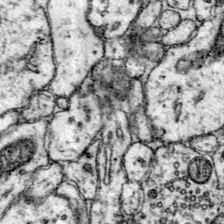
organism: Mouse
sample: Primary visual cortex